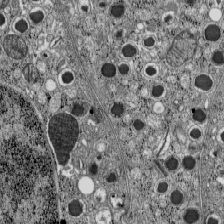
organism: C57BL Mouse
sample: Pancreatic islet